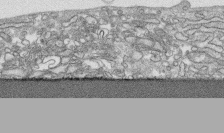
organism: Human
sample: CRL-1474